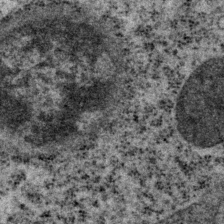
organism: P. pacificus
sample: Pharynx